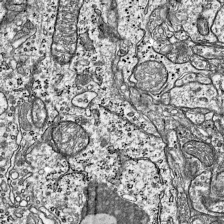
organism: Mouse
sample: Visual Cortex